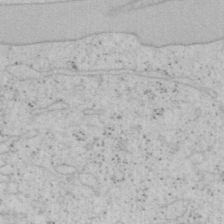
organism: Human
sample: HeLa cells